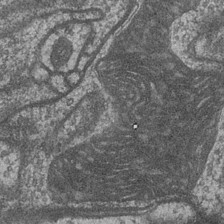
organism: Drosophila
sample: Optic medulla